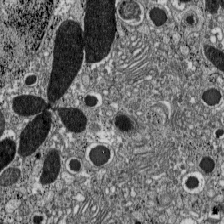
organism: C57BL Mouse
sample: Pancreatic islet